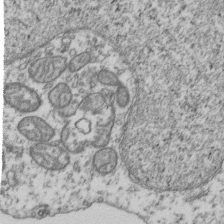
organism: Human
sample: Activated Jurkat CD4+ T cells